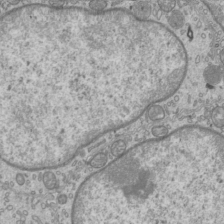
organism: Mouse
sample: Cilia; mouse epididymis